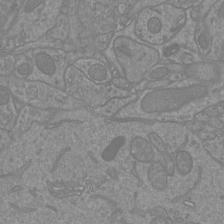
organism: Mouse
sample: Cortical neurons